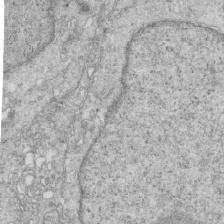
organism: Mouse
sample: Multiciliated cells